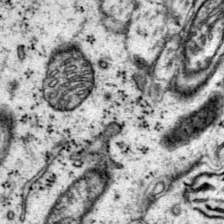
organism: Mouse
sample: Primary visual cortex